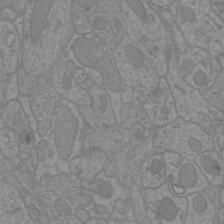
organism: Mouse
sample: Cortical neurons